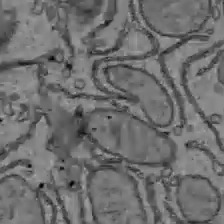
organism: C57BL Mouse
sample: Liver